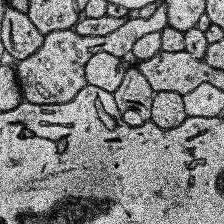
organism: Human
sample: Temporal Lobe